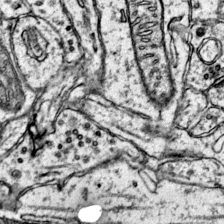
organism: Mouse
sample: Primary visual cortex